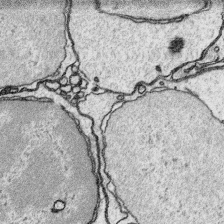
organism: Platynereis dumerilii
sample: Parapodia